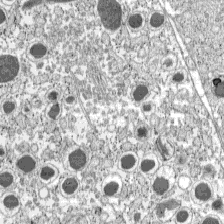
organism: C57BL Mouse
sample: Pancreatic islet